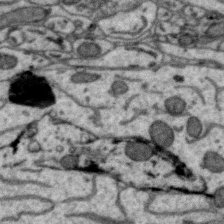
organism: Zebra finch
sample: Brain